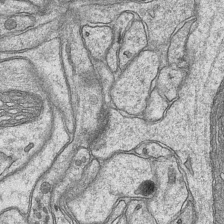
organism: Mouse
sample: CA1 Hippocampus